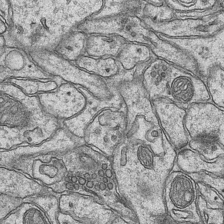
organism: Mouse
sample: CA1 Hippocampus